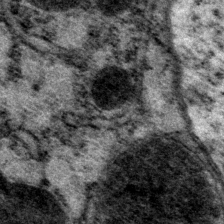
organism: P. pacificus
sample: Pharynx